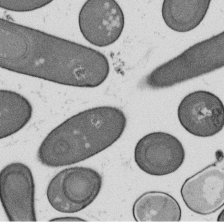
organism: B. subtilis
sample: Bacterial spore